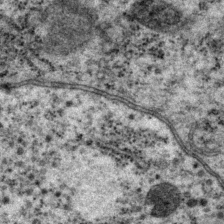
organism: P. pacificus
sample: Pharynx